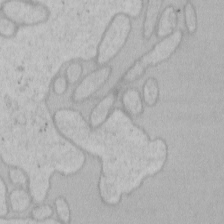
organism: Human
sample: HeLa cells